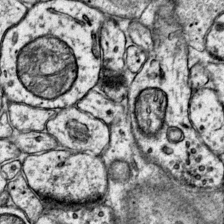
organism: Mouse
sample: Primary visual cortex